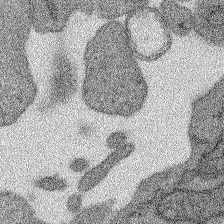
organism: Human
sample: HeLa cells